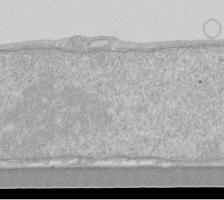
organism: Human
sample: Fibroblast cells